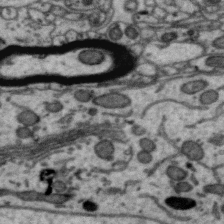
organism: Zebra finch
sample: Brain